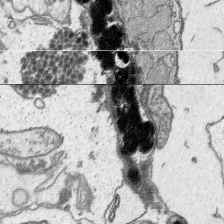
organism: Platynereis dumerilii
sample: Parapodia